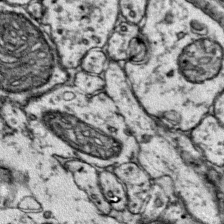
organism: Mouse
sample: Primary visual cortex